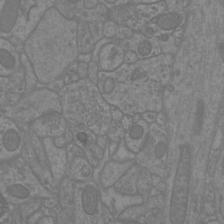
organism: Mouse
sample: Cortical neurons